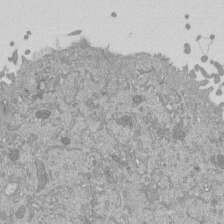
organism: Mouse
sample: ED-1 cell nuclei; centrioles